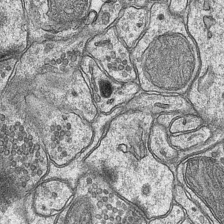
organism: Mouse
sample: CA1 Hippocampus